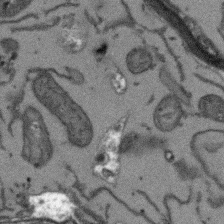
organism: Arabidopsis thaliana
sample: Root tip